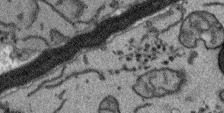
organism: Arabidopsis thaliana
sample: Root tip